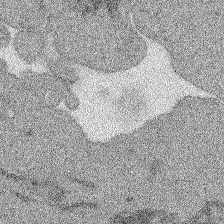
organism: Human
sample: HeLa cells